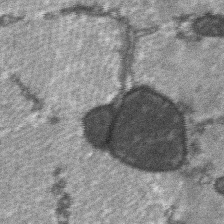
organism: C57BL Mouse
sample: Soleus